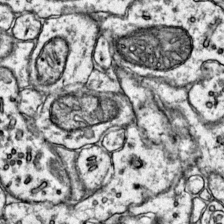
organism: Mouse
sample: Primary visual cortex